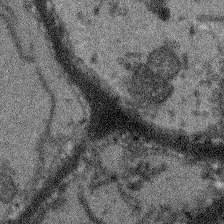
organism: Arabidopsis thaliana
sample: Root tip